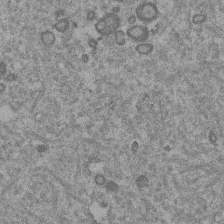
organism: Mouse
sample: Dividing mouse embryo 1 cell stage